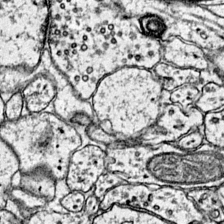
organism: Mouse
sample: Primary visual cortex